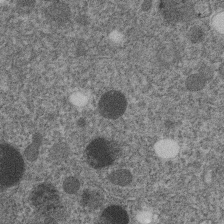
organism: C. elegans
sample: C. elegans embryo early stage